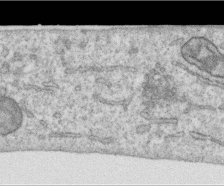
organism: Human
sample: Centriole in RPE cells